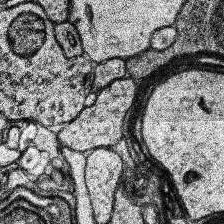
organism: Human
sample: Temporal Lobe